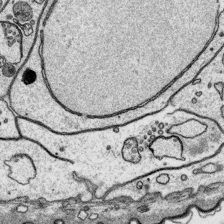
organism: Platynereis dumerilii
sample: Parapodia